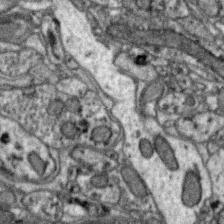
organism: Zebra finch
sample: Brain